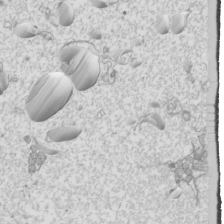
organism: Mouse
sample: Cilia; mouse epididymis